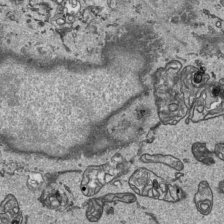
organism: Human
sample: Mitochondria in HCT116 cells